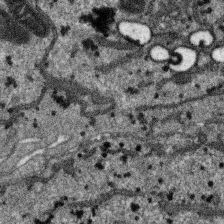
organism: Human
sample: Lung epithelial cells infected with SARS-CoV-2